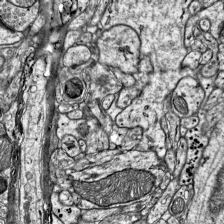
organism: Mouse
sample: Visual Cortex